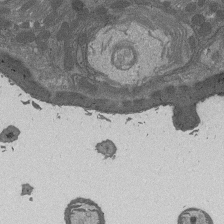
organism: Drosophila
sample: Antenna